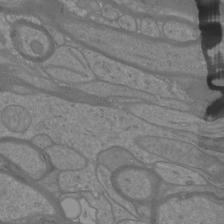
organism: Mouse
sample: Cortical neurons